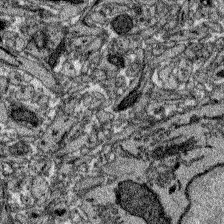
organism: Zebrafish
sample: Larval olfactory bulb